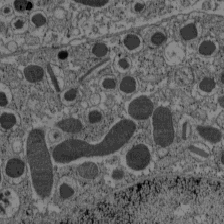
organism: C57BL Mouse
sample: Pancreatic islet